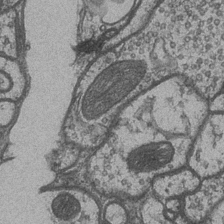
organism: Drosophila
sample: Optic medulla